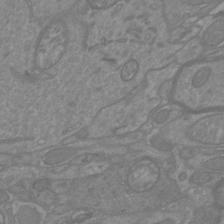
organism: Mouse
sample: Cortical neurons